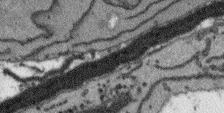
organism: Arabidopsis thaliana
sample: Root tip